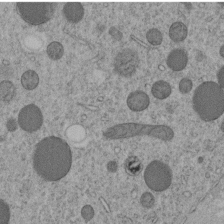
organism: C. elegans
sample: C. elegans embryo early stage